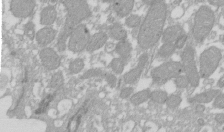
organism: Xenopus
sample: Cilia; centrioles in frog embryo cells